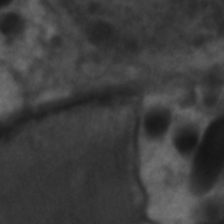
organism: C. elegans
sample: Pharynx